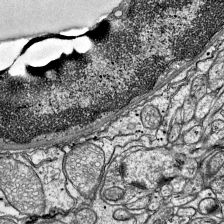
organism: Mouse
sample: Visual Cortex